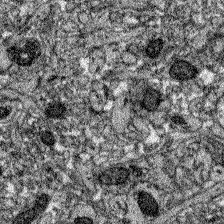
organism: Zebrafish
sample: Larval olfactory bulb